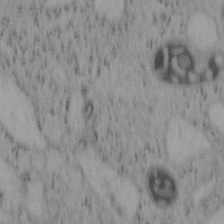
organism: Mouse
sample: OT-I killer T cells with ID8 ovarian cancer cells